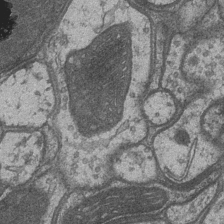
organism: Drosophila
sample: Optic medulla